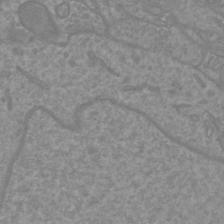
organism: Mouse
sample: Cortical neurons